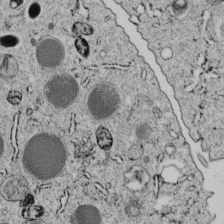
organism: C. elegans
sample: C. elegans embryo early stage